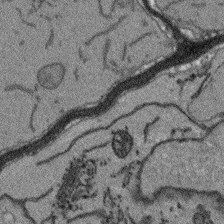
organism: Arabidopsis thaliana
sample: Root tip